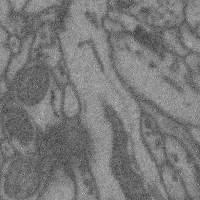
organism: Mouse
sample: Cerebral cortex